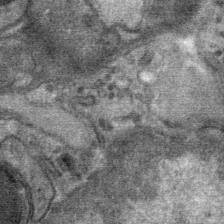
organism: Mouse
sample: Mouse Salivary gland